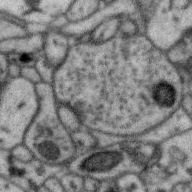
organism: Zebra finch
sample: Brain